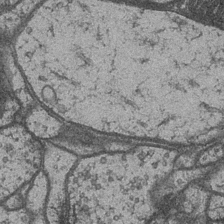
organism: Drosophila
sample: Optic medulla